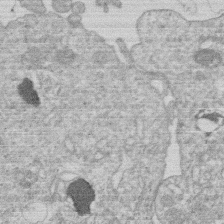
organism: Human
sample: Macrophage cells